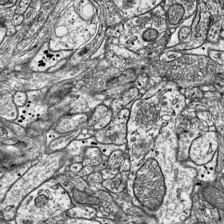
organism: Mouse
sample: Visual Cortex